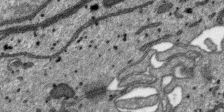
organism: Human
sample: Lung epithelial cells, uninfected (mock) control